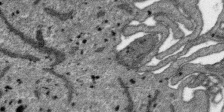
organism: Human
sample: Lung epithelial cells, uninfected (mock) control